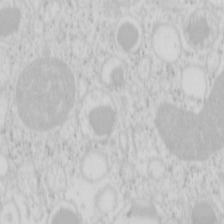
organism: Mouse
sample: Pancreas